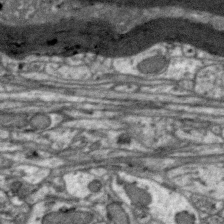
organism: Zebra finch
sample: Brain